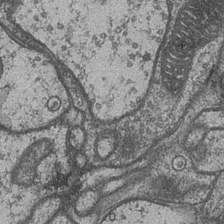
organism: Drosophila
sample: Optic medulla